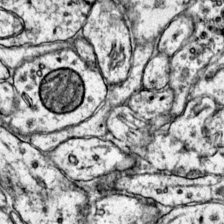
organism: Mouse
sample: Primary visual cortex